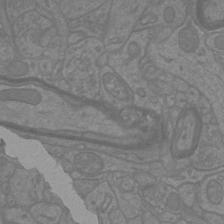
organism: Mouse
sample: Cortical neurons